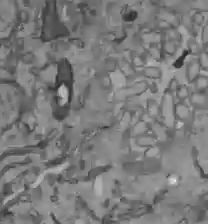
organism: C57BL Mouse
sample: Liver